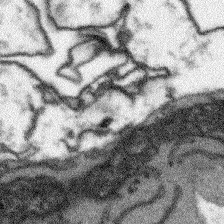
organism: Arabidopsis thaliana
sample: Root tip